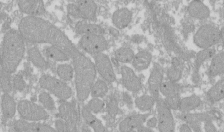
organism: Xenopus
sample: Cilia; centrioles in frog embryo cells